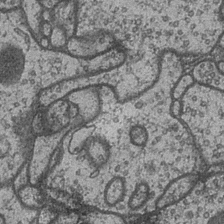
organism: Drosophila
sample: Optic medulla